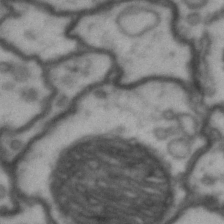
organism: Drosophila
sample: Brain